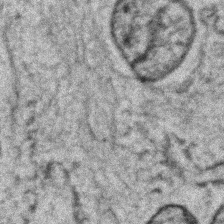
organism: Zebrafish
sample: Zebrafish embryo